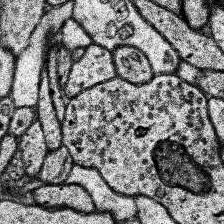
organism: Human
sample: Temporal Lobe